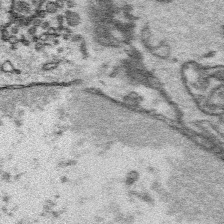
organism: Platynereis dumerilii